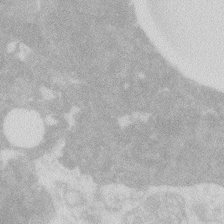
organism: Zebrafish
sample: Macrophage